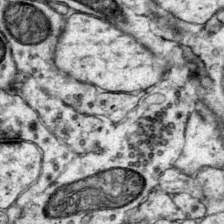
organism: Mouse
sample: Primary visual cortex